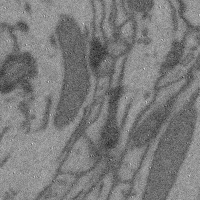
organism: Mouse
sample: Cerebral cortex